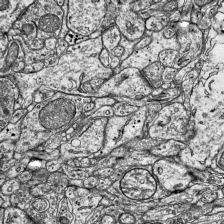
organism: Mouse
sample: Visual Cortex